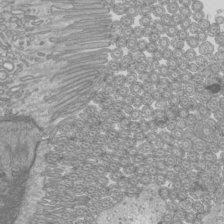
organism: Mouse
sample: Cilia; mouse epididymis